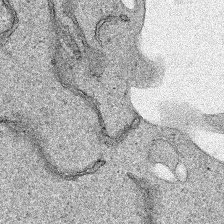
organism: Human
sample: Mitochondria in HCT116 cells